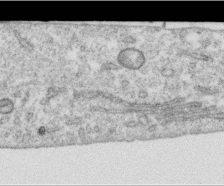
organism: Human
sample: Centriole in RPE cells